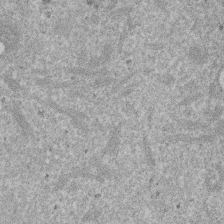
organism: Mouse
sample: Dividing mouse embryo 1 cell stage